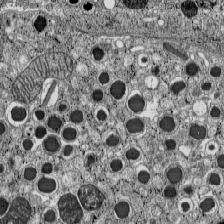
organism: C57BL Mouse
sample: Pancreatic islet